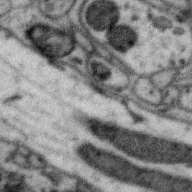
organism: Zebra finch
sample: Brain